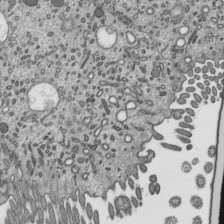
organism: Mouse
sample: Mouse epididymis efferent ductule cilia